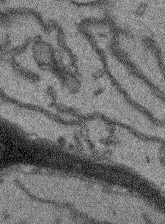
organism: Arabidopsis thaliana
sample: Root tip